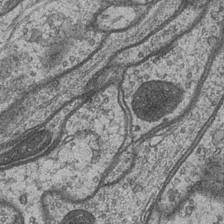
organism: Drosophila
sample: Optic medulla